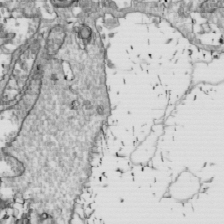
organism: Drosophila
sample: Cell division; meiosis; drosophila spermatocytes